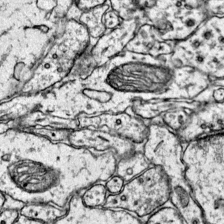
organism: Mouse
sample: Primary visual cortex